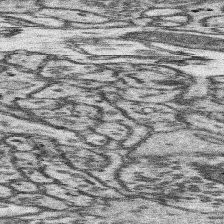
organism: Mouse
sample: Somatosensory cortex neuropil